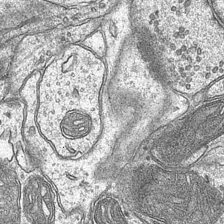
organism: Mouse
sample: CA1 Hippocampus